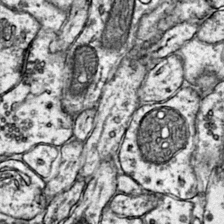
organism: Mouse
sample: Primary visual cortex